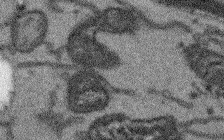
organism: Arabidopsis thaliana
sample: Root tip